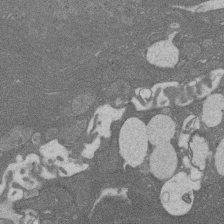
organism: Rat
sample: Salivary granule